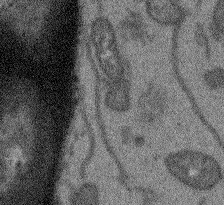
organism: Arabidopsis thaliana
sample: Root tip